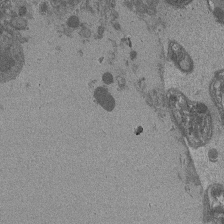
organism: Drosophila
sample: Antenna